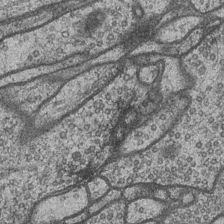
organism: Drosophila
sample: Optic medulla